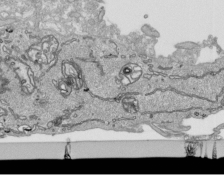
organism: Human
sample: Mitochondria in HCT116 cells